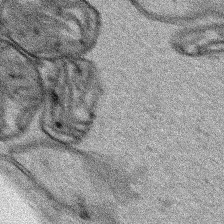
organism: Human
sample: Mitochondria in HCT116 cells